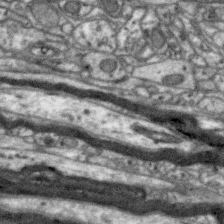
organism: Zebra finch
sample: Brain